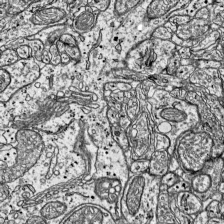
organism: Mouse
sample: Visual Cortex